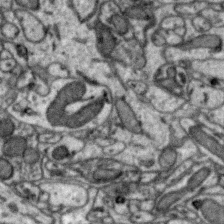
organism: Zebra finch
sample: Brain